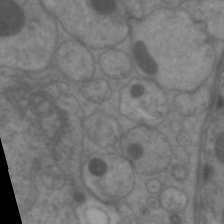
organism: C. elegans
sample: Pharynx